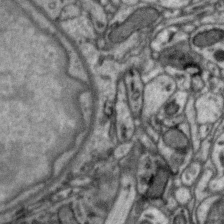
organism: Zebra finch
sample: Brain